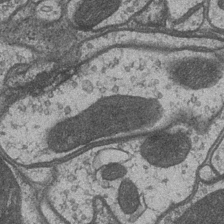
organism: Drosophila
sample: Optic medulla